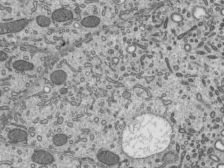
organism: Mouse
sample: Mouse epididymis efferent ductule cilia